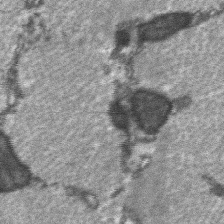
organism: C57BL Mouse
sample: Soleus